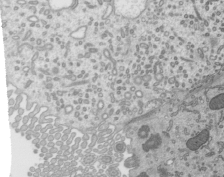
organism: Mouse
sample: Mouse epididymis efferent ductule cilia